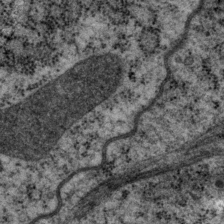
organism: P. pacificus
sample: Pharynx